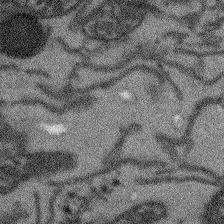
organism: Arabidopsis thaliana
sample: Root tip